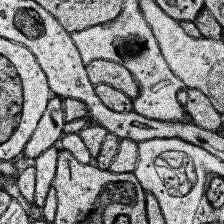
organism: Human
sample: Temporal Lobe